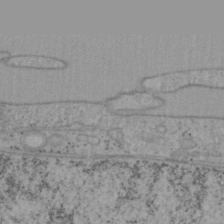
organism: Human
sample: HeLa cells